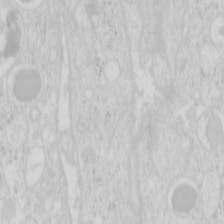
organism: Mouse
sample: Pancreas